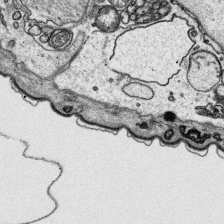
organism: Platynereis dumerilii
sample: Parapodia